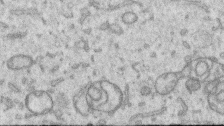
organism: Human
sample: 1205lu cells